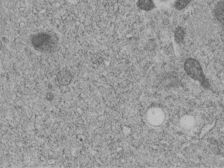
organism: C. elegans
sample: C. elegans embryo early stage